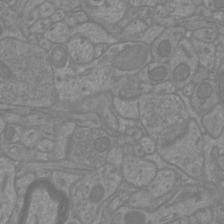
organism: Mouse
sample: Cortical neurons